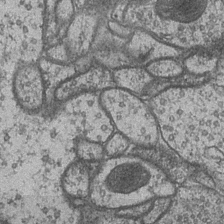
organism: Drosophila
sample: Optic medulla